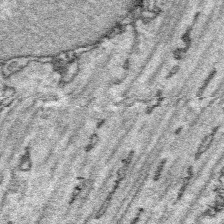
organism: Platynereis dumerilii